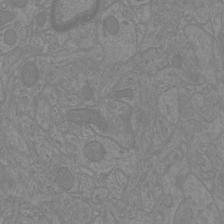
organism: Mouse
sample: Cortical neurons